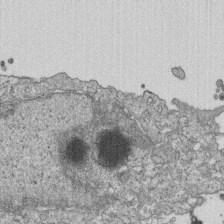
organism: Human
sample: HeLa cell HIV synapse